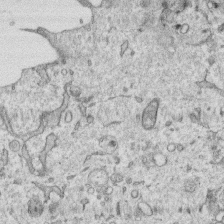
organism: Human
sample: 1205lu cells